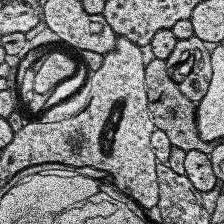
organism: Human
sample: Temporal Lobe